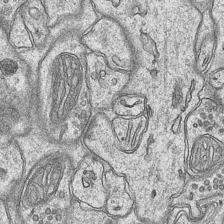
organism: Mouse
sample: CA1 Hippocampus